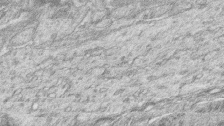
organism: Zebrafish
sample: synaptic ribbons in rod cells and cone cells